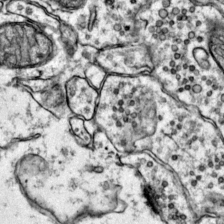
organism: Mouse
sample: Primary visual cortex